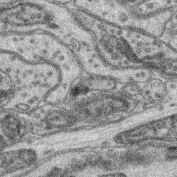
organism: Mouse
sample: Retina